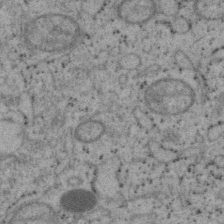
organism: Human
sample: HeLa cells